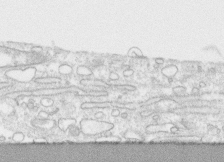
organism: Human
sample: CRL-1474